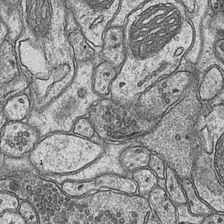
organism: Mouse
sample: CA1 Hippocampus